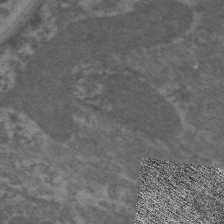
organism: C. elegans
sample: Pharynx